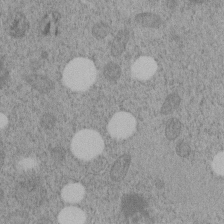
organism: C. elegans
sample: C. elegans embryo early stage